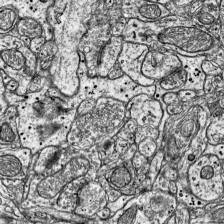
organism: Mouse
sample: Visual Cortex